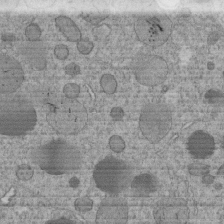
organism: C. elegans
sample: C. elegans embryo early stage